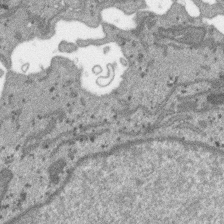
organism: Human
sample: Lung epithelial cells infected with SARS-CoV-2